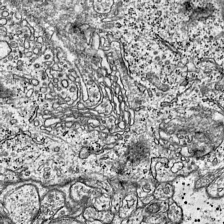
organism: Mouse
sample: Visual Cortex